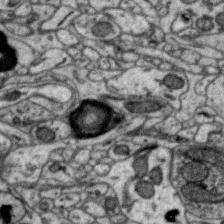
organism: Zebra finch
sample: Brain